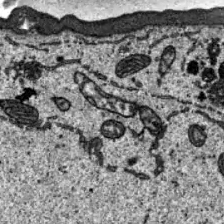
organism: Human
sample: HeLa cells